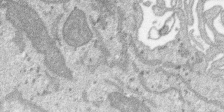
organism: Human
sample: Lung epithelial cells infected with SARS-CoV-2